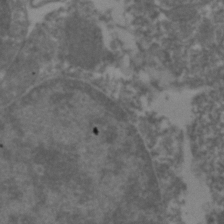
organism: Zebrafish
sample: Zebrafish embryo